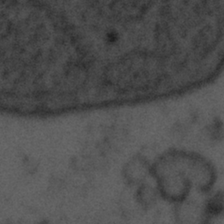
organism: Tuwongella immobilis